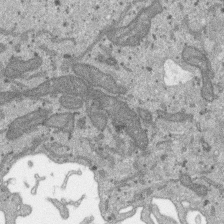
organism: Human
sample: Lung epithelial cells infected with SARS-CoV-2